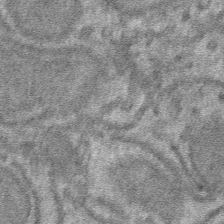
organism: Mouse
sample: Mouse hepatocytes